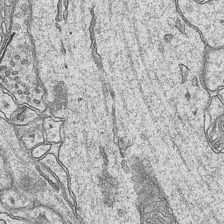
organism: Mouse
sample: CA1 Hippocampus